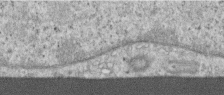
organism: Human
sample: Centriole in RPE cells